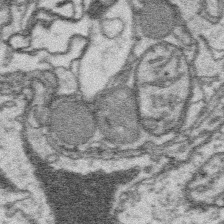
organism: Platynereis dumerilii